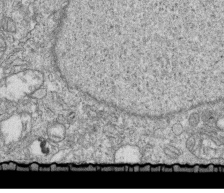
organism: Human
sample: HeLa cell HIV synapse